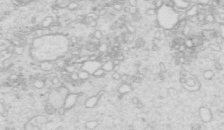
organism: Mouse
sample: Multiciliated cells